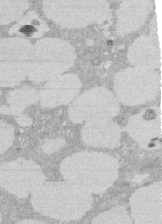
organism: Rat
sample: Salivary granule